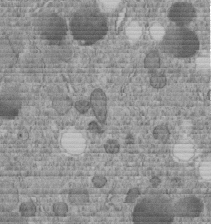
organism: C. elegans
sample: C. elegans embryo early stage